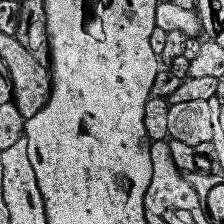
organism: Human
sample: Temporal Lobe